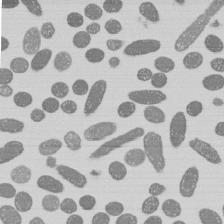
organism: E. coli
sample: Bacterial nucleoid